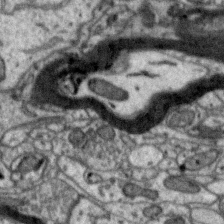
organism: Zebra finch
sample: Brain